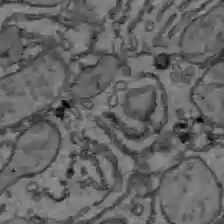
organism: C57BL Mouse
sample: Liver